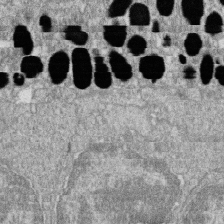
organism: Zebrafish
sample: Cilia; retinal pigment epithelium